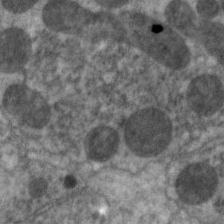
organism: C. elegans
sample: Pharynx